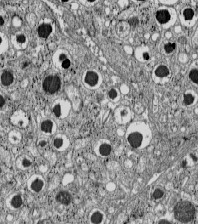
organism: C57BL Mouse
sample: Pancreatic islet